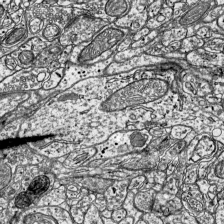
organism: Mouse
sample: Visual Cortex